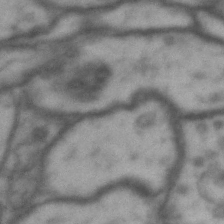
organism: Drosophila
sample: Brain